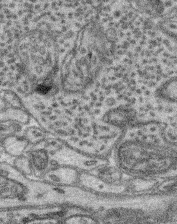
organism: Mouse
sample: Retina